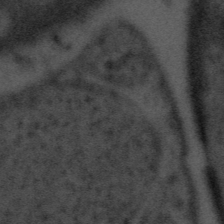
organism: Tuwongella immobilis